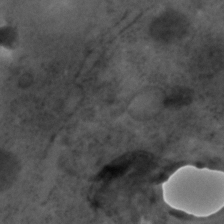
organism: C. elegans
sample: C. elegans embryo